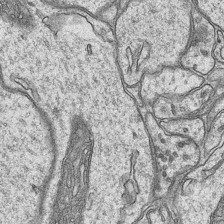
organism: Mouse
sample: CA1 Hippocampus